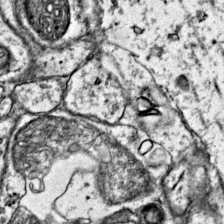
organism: Mouse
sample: Primary visual cortex